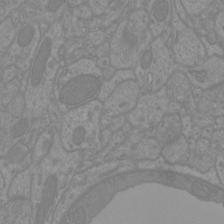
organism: Mouse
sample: Cortical neurons